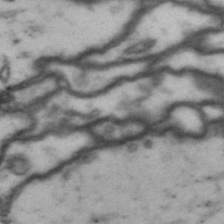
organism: Drosophila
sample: Brain